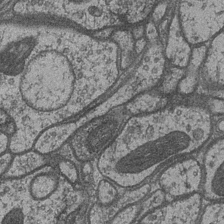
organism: Drosophila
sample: Optic medulla